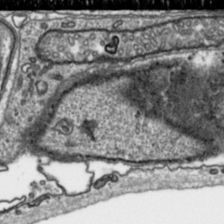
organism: Toxoplasma gondii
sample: Parasites in a vacuole inside a host cell